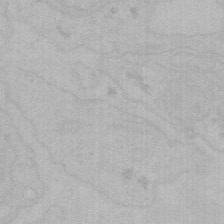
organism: Mouse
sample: Choroid plexus